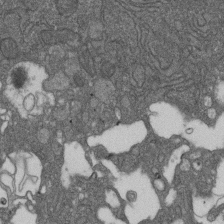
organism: Drosophila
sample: Nephrocyte